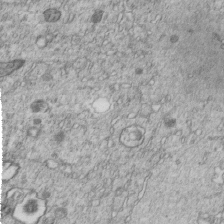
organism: C. elegans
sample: C. elegans embryo early stage